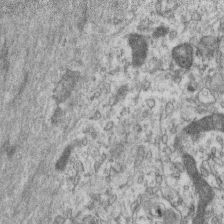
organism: Mouse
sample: Centriole in ependymal cells